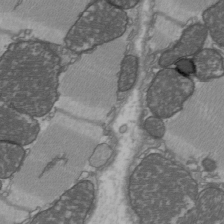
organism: C57BL Mouse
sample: Heart